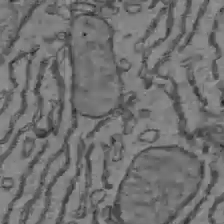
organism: C57BL Mouse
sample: Liver